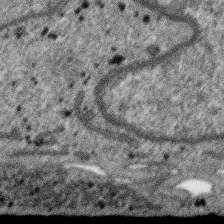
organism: Human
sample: Lung epithelial cells infected with SARS-CoV-2